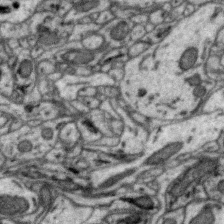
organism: Zebra finch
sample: Brain